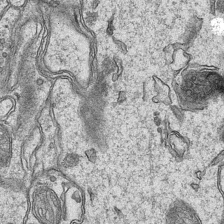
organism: Mouse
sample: CA1 Hippocampus